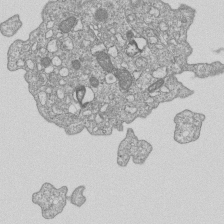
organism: Human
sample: MDA-MB-231 cells